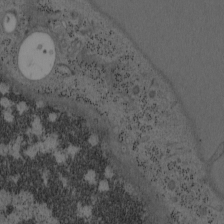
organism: Mouse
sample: OT-I killer T cells with ID8 ovarian cancer cells